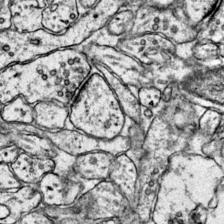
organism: Mouse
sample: Primary visual cortex